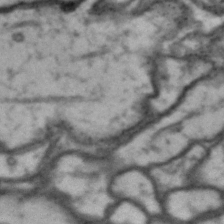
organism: Drosophila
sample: Brain